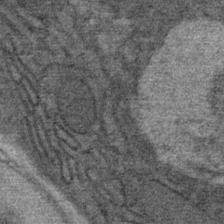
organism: Mouse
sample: Mouse Salivary gland